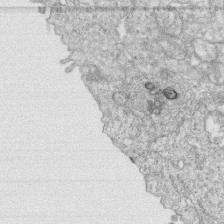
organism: Human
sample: HeLa cell HIV synapse